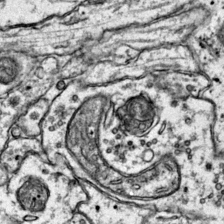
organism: Mouse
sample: Primary visual cortex